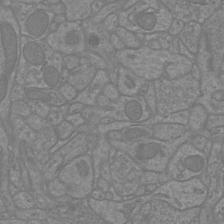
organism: Mouse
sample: Cortical neurons